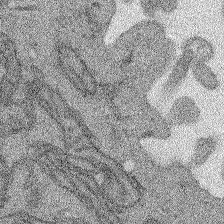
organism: Human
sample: HeLa cells